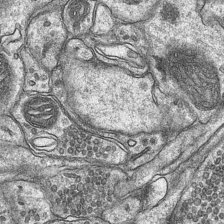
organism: Mouse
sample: CA1 Hippocampus